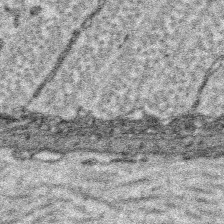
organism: Platynereis dumerilii